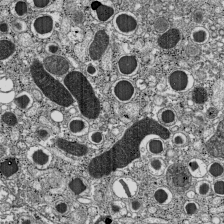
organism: C57BL Mouse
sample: Pancreatic islet